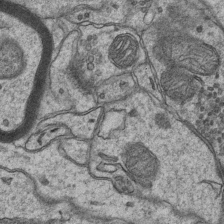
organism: Mouse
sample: CA1 Hippocampus